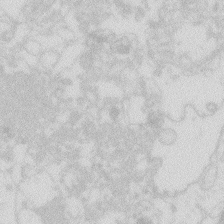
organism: Zebrafish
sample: Macrophage